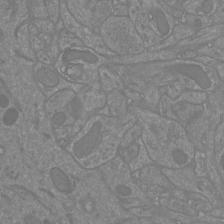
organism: Mouse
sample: Cortical neurons